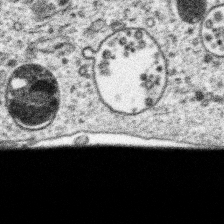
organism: Human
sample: HeLa cells